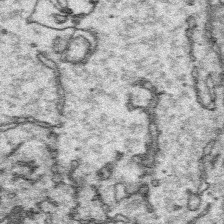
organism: Platynereis dumerilii